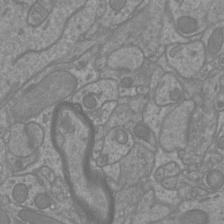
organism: Mouse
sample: Cortical neurons